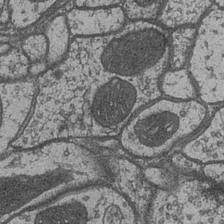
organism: Drosophila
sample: Optic medulla